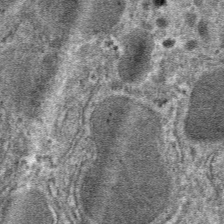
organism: Mouse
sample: Mouse hepatocytes